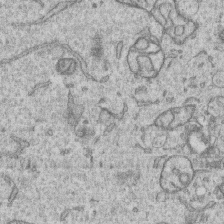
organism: Human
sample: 1205lu cells